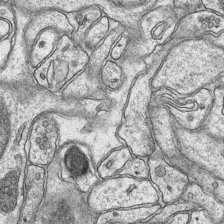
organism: Mouse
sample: CA1 Hippocampus